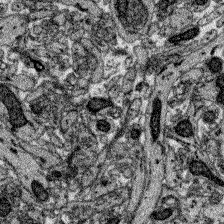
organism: Zebrafish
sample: Larval olfactory bulb